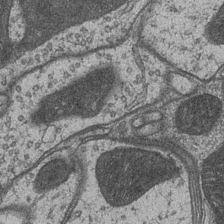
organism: Drosophila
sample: Optic medulla